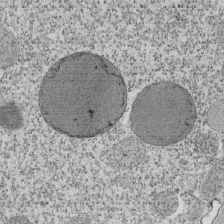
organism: Tetrahymena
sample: Cilia in tetrahymena